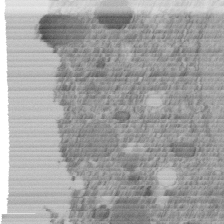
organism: C. elegans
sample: C. elegans embryo early stage